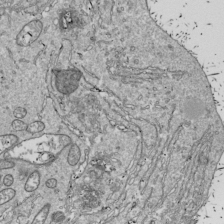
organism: Drosophila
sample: Cell division; meiosis; drosophila spermatocytes